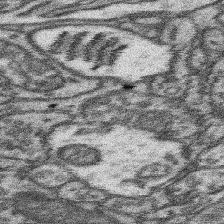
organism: Mouse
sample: Somatosensory cortex neuropil